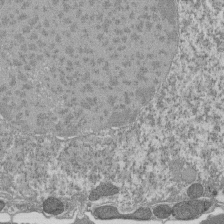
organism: Tetrahymena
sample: Cilia in tetrahymena